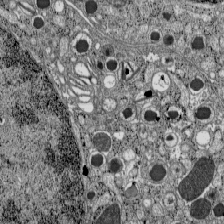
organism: C57BL Mouse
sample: Pancreatic islet